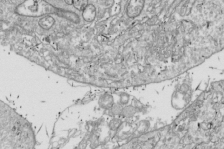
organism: Drosophila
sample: Cell division; meiosis; drosophila spermatocytes